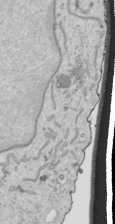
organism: Human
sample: Mitochondria in HCT116 cells